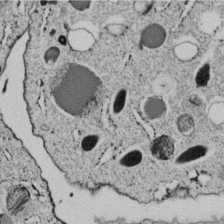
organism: C. elegans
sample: C. elegans embryo early stage